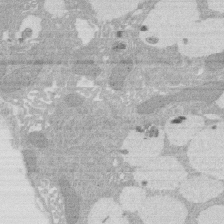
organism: Rat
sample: Salivary granule